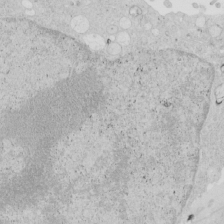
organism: Human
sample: Mitochondria in HCT116 cells